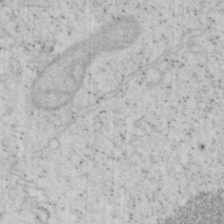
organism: Human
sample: HeLa cells